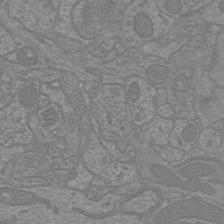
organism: Mouse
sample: Cortical neurons